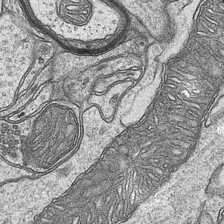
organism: Mouse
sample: CA1 Hippocampus